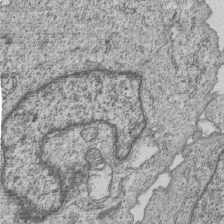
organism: Human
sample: MDA-MB-231 cells